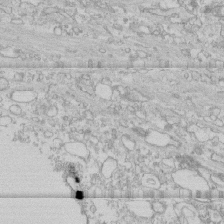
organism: Human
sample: CRL-1474